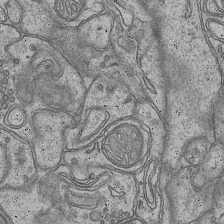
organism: Mouse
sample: CA1 Hippocampus